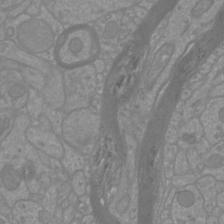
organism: Mouse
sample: Cortical neurons